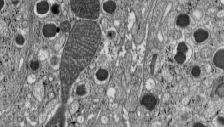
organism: C57BL Mouse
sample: Pancreatic islet